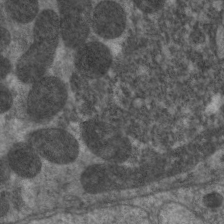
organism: C. elegans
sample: Pharynx